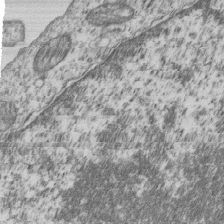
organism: Human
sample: MDA-MB-231 cells